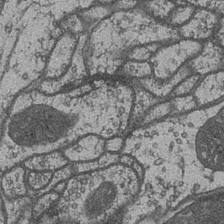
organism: Drosophila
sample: Optic medulla